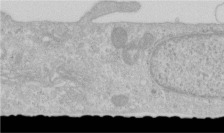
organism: Human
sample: Centriole in RPE cells